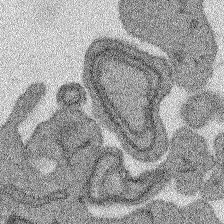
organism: Human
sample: HeLa cells